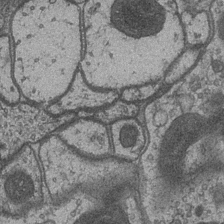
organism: Drosophila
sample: Optic medulla